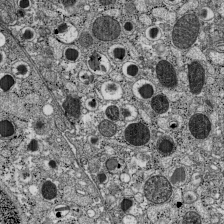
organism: C57BL Mouse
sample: Pancreatic islet